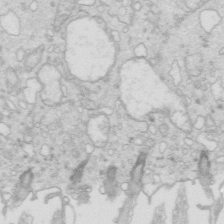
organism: Mouse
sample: Multiciliated cells